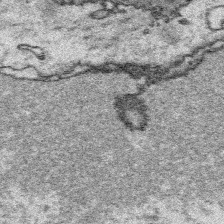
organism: Platynereis dumerilii